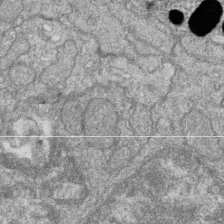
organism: Zebrafish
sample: Cilia; retinal pigment epithelium